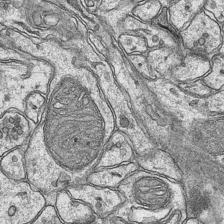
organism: Mouse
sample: CA1 Hippocampus